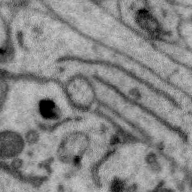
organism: Zebra finch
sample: Brain